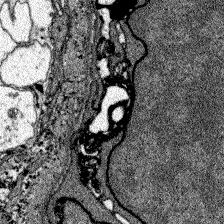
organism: Zebrafish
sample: Larval olfactory bulb